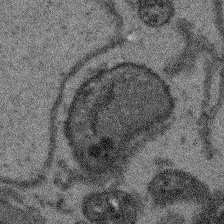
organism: Arabidopsis thaliana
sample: Root tip